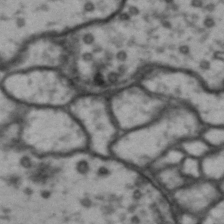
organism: Drosophila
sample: Brain